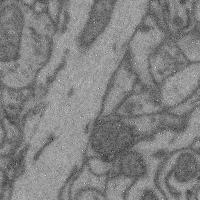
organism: Mouse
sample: Cerebral cortex